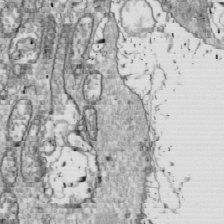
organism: Drosophila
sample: Cell division; meiosis; drosophila spermatocytes